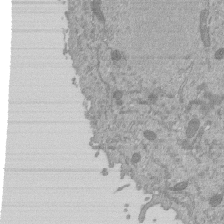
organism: Mouse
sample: ED-1 cell nuclei; centrioles